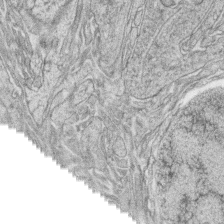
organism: Zebrafish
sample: synaptic ribbons in rod cells and cone cells